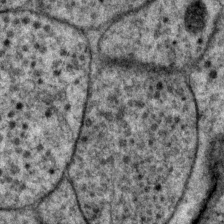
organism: P. pacificus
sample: Pharynx